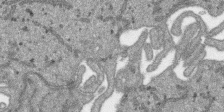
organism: Human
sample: Lung epithelial cells infected with SARS-CoV-2